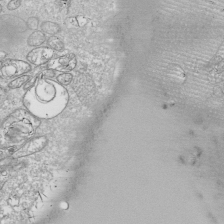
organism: Drosophila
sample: Cell division; meiosis; drosophila spermatocytes